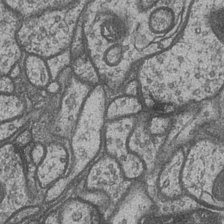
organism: Drosophila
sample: Optic medulla